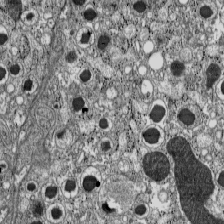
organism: C57BL Mouse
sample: Pancreatic islet